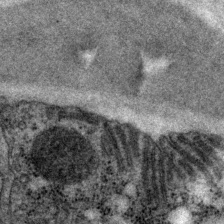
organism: P. pacificus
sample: Pharynx